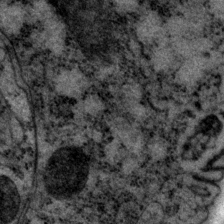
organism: P. pacificus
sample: Pharynx